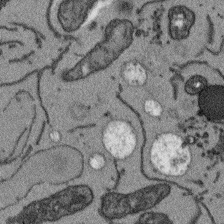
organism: Arabidopsis thaliana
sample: Root tip